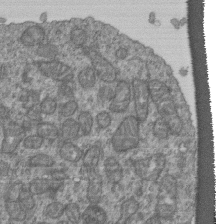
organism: Human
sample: Retinal organoid Rod and Cone cells